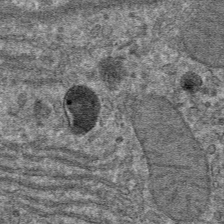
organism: Mouse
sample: Mouse hepatocytes